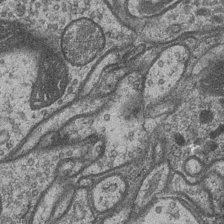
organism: Drosophila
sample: Optic medulla